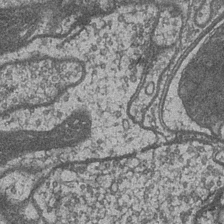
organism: Drosophila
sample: Optic medulla